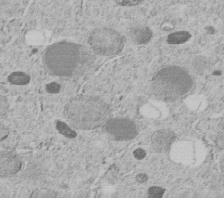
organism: C. elegans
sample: C. elegans embryo early stage